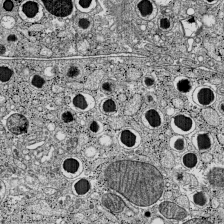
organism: C57BL Mouse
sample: Pancreatic islet